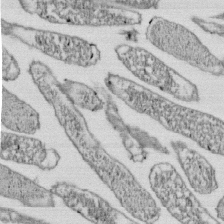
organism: E. coli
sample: Bacterial nucleoid